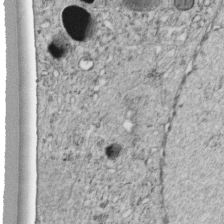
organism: C. elegans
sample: C. elegans embryo early stage